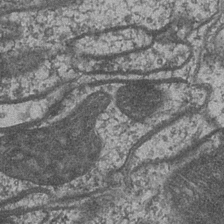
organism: Drosophila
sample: Optic medulla